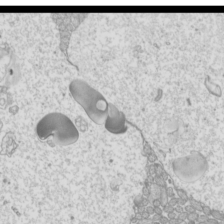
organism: Mouse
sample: Cilia; mouse epididymis